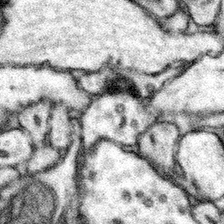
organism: Mouse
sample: Somatosensory cortex neuropil